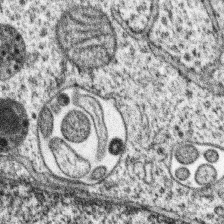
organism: Human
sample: HeLa cells